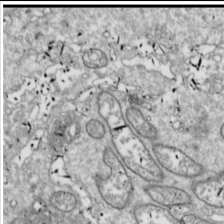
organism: Drosophila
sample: Cell division; meiosis; drosophila spermatocytes